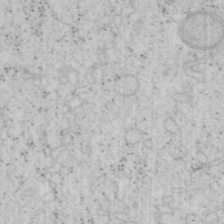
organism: Human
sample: HeLa cells